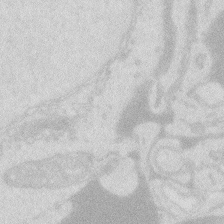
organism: Zebrafish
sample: Macrophage